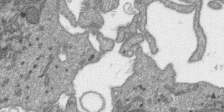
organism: Human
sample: Lung epithelial cells infected with SARS-CoV-2